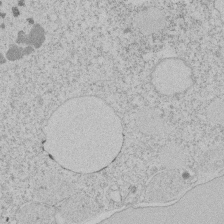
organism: Tetrahymena